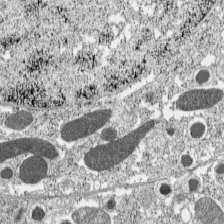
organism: C57BL Mouse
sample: Pancreatic islet